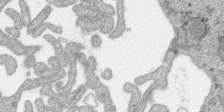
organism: Human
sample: Lung epithelial cells infected with SARS-CoV-2